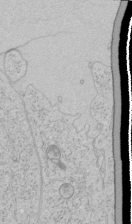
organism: Human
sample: Mitochondria in HCT116 cells